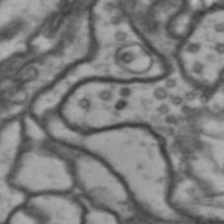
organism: Drosophila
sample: Brain